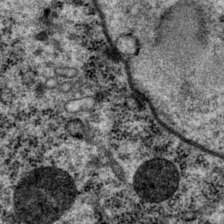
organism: P. pacificus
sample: Pharynx